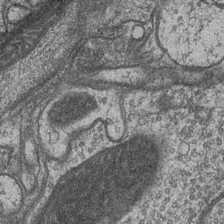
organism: Drosophila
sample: Optic medulla